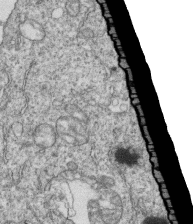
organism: Human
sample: HeLa cell HIV synapse